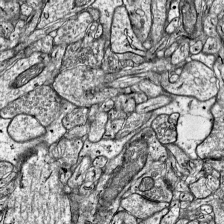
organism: Mouse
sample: Visual Cortex